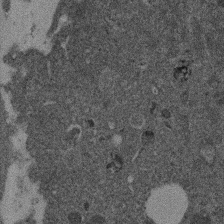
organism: Mouse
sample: Dividing mouse embryo 1 cell stage